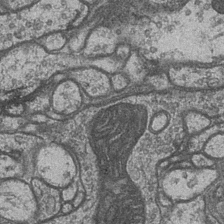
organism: Drosophila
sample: Optic medulla